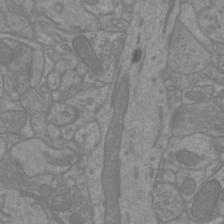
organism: Mouse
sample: Cortical neurons